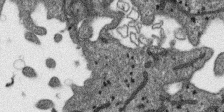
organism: Human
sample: Lung epithelial cells infected with SARS-CoV-2